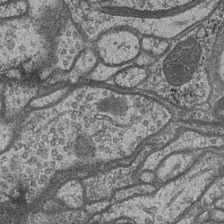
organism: Drosophila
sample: Optic medulla